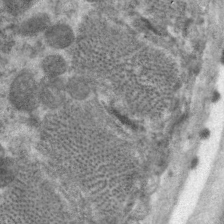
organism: C. elegans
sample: Pharynx